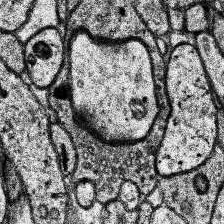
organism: Human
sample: Temporal Lobe